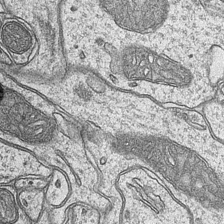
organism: Mouse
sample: CA1 Hippocampus